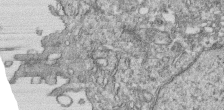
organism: Human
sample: HeLa cell HIV synapse